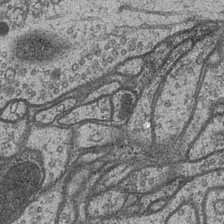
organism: Drosophila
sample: Optic medulla